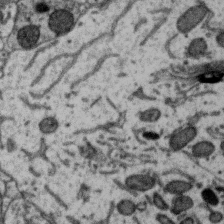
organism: Zebra finch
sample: Brain